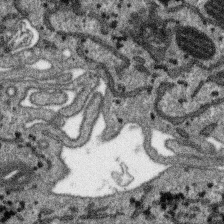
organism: Human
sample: Lung epithelial cells infected with SARS-CoV-2